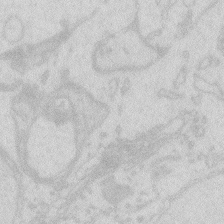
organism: Zebrafish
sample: Macrophage